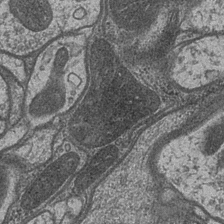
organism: Drosophila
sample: Optic medulla